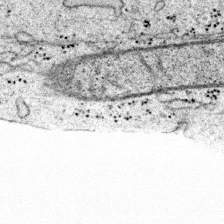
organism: Human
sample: HeLa cells